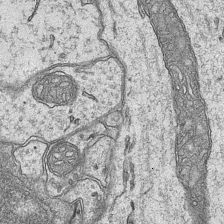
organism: Mouse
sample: CA1 Hippocampus